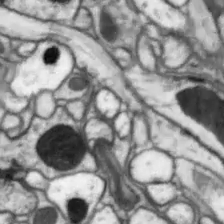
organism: Drosophila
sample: Optic lobe